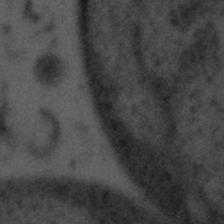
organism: Tuwongella immobilis